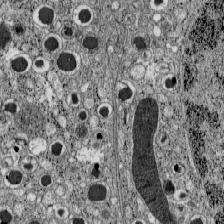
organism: C57BL Mouse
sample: Pancreatic islet